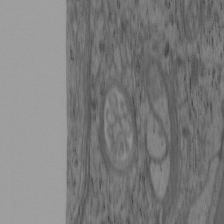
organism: Human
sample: HeLa cells